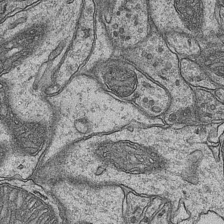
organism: Mouse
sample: CA1 Hippocampus